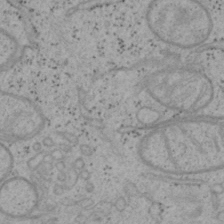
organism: Human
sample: HeLa cells